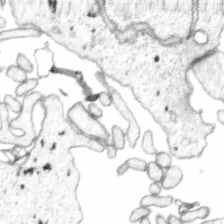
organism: Human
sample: HeLa cells